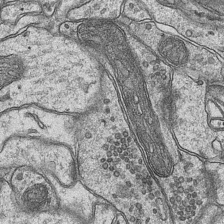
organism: Mouse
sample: CA1 Hippocampus